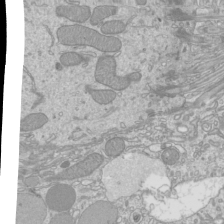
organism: Mouse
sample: Cilia; mouse epididymis